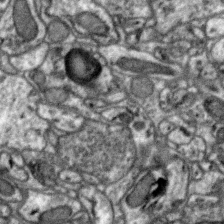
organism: Zebra finch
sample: Brain